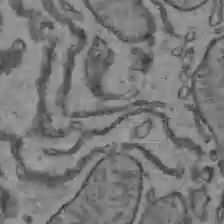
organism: C57BL Mouse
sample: Liver